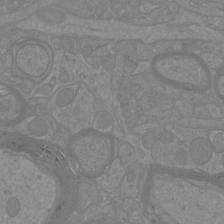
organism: Mouse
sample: Cortical neurons